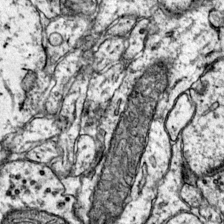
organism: Mouse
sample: Primary visual cortex